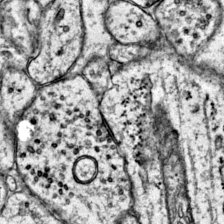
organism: Mouse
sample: Primary visual cortex